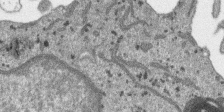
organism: Human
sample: Lung epithelial cells infected with SARS-CoV-2